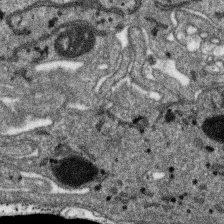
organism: Human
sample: Lung epithelial cells infected with SARS-CoV-2